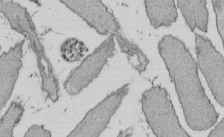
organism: E. coli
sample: Bacterial nucleoid